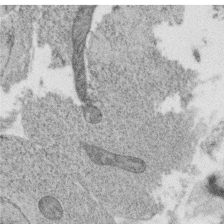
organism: C. elegans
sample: C. elegans oocyte; sperm cells